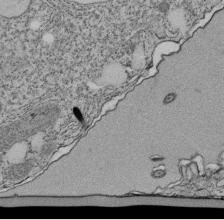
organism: Tetrahymena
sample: Cilia in tetrahymena